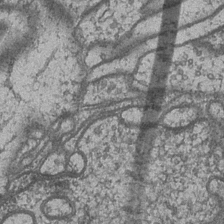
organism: Drosophila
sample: Optic medulla